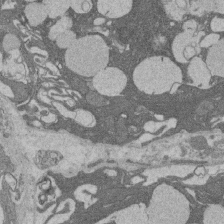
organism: Rat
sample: Salivary granule